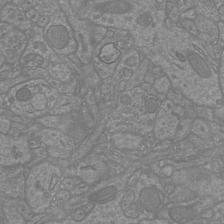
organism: Mouse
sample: Cortical neurons